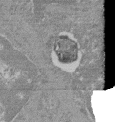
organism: Mouse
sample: Glomerulus